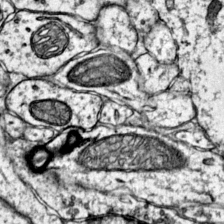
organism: Mouse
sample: Primary visual cortex